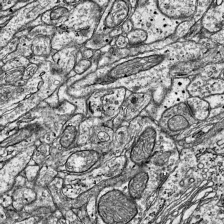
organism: Mouse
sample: Visual Cortex